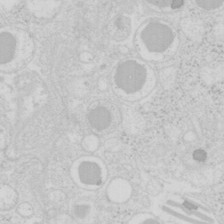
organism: Mouse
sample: Pancreas